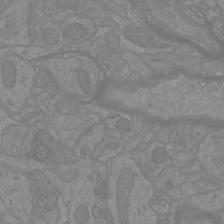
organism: Mouse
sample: Cortical neurons